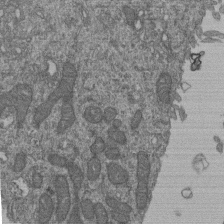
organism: Human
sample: Retinal organoid Rod and Cone cells